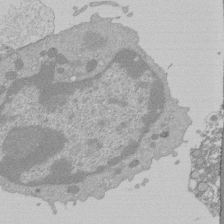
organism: Mouse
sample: Activated Pmel transgenic CD8+ T Cells